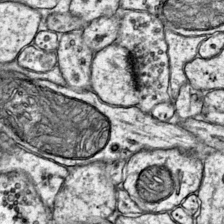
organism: Mouse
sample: Primary visual cortex